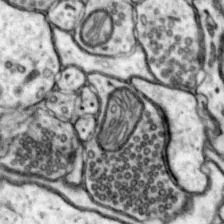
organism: Mouse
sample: Nucleus accumbens